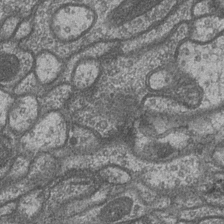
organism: Drosophila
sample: Optic medulla